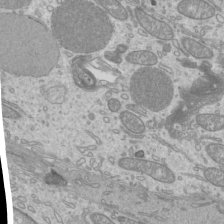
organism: Mouse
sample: Cilia; mouse epididymis